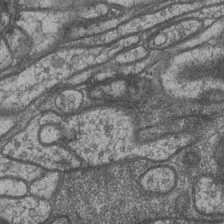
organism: Drosophila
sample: Optic medulla